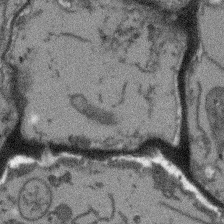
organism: Arabidopsis thaliana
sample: Root tip